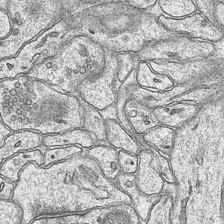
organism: Mouse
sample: CA1 Hippocampus